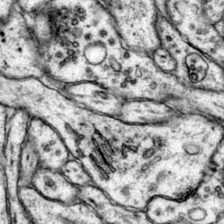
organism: Mouse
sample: Primary visual cortex